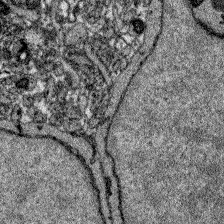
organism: Zebrafish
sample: Larval olfactory bulb